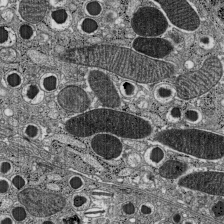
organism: C57BL Mouse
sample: Pancreatic islet